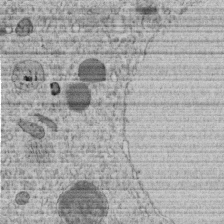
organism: C. elegans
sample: C. elegans embryo early stage